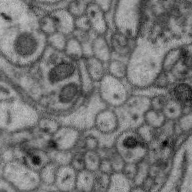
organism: Zebra finch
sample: Brain